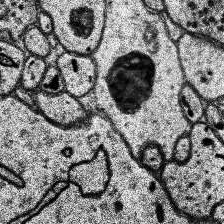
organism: Human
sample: Temporal Lobe